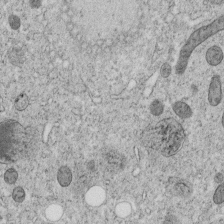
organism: C. elegans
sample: C. elegans embryo early stage